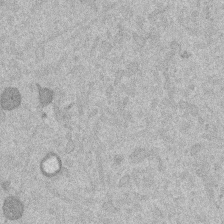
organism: Mouse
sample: Dividing mouse embryo 1 cell stage